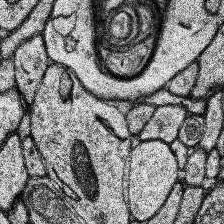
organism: Human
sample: Temporal Lobe